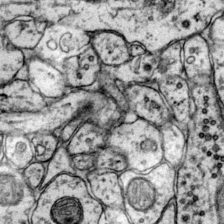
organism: Mouse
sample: Primary visual cortex